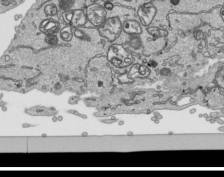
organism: Human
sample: Mitochondria in HCT116 cells